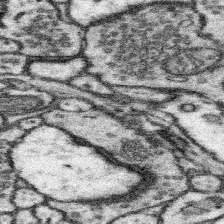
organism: Mouse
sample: Somatosensory cortex neuropil